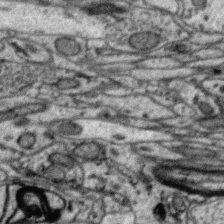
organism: Zebra finch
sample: Brain